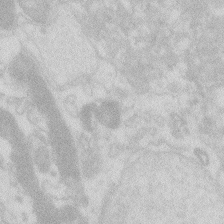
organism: Zebrafish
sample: Macrophage